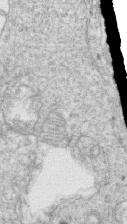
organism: Human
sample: HeLa cell HIV synapse